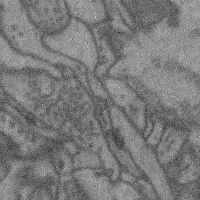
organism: Mouse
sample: Cerebral cortex